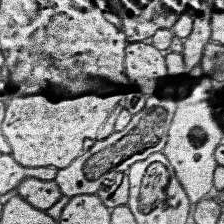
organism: Human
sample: Temporal Lobe